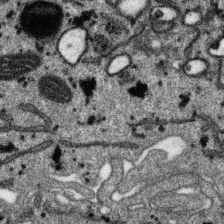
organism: Human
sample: Lung epithelial cells infected with SARS-CoV-2